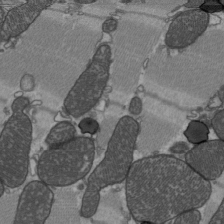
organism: C57BL Mouse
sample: Heart